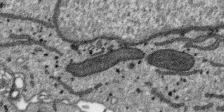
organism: Human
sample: Lung epithelial cells, uninfected (mock) control